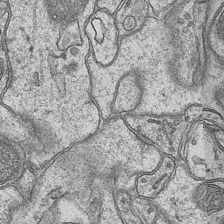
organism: Mouse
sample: CA1 Hippocampus